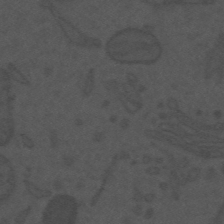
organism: Mouse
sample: Suprachiasmatic nucleus